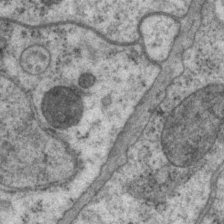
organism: P. pacificus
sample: Pharynx